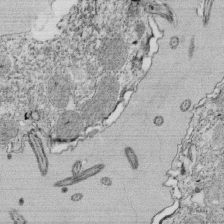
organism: Tetrahymena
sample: Cilia in tetrahymena